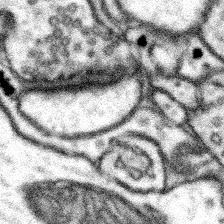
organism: Mouse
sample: Somatosensory cortex neuropil